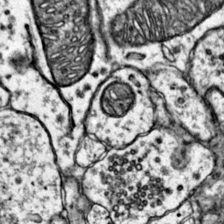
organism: Mouse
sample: Primary visual cortex